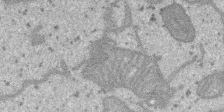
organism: Human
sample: Lung epithelial cells infected with SARS-CoV-2